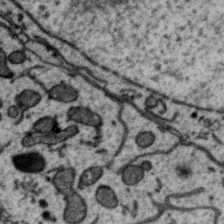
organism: Zebra finch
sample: Brain